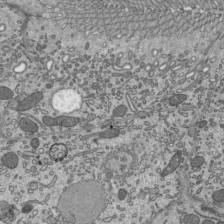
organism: Mouse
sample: Mouse epididymis efferent ductule cilia